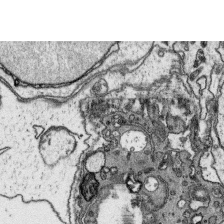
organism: Platynereis dumerilii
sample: Parapodia